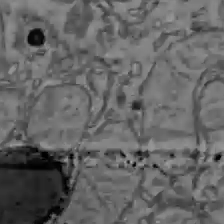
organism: C57BL Mouse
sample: Liver